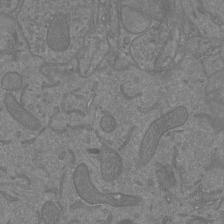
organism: Mouse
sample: Cortical neurons